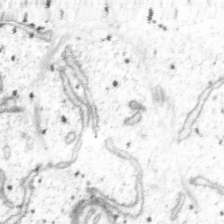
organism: Human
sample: HeLa cells